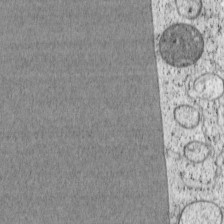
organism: African green monkey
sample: COS-7 cells